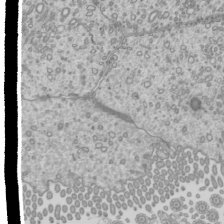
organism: Mouse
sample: Cilia; mouse epididymis